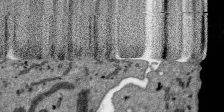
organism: Human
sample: Lung epithelial cells, uninfected (mock) control